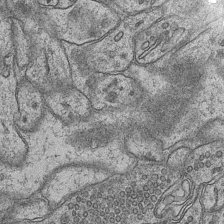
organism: Mouse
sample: CA1 Hippocampus